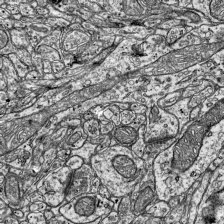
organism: Mouse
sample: Visual Cortex